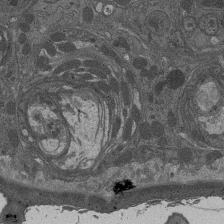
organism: Drosophila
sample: Antenna